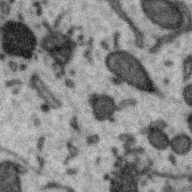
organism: Zebra finch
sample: Brain